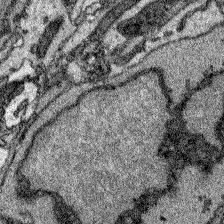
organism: Zebrafish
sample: Larval olfactory bulb